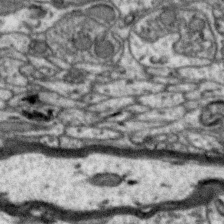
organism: Zebra finch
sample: Brain